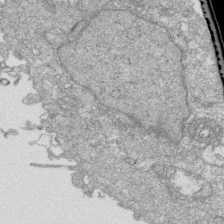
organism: Human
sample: HeLa cell HIV synapse